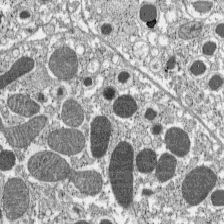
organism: C57BL Mouse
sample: Pancreatic islet